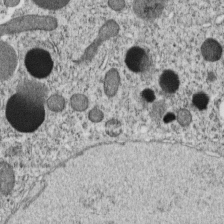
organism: C. elegans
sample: C. elegans embryo early stage